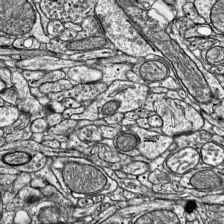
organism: Mouse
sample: Visual Cortex